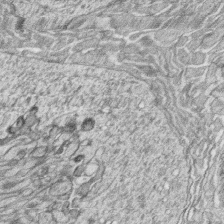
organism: Zebrafish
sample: synaptic ribbons in rod cells and cone cells